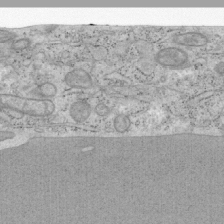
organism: Human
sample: HeLa cells